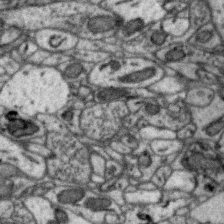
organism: Zebra finch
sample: Brain